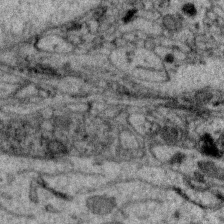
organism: Zebra finch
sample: Brain